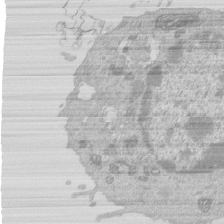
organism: Mouse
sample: Activated Pmel transgenic CD8+ T Cells